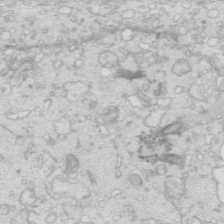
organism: Mouse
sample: Multiciliated cells